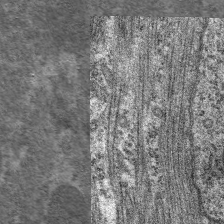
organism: C. elegans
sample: Pharynx